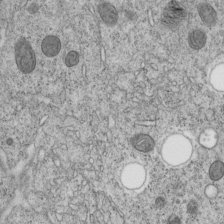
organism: C. elegans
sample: C. elegans embryo early stage